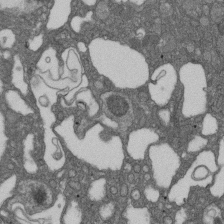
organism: Drosophila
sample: Nephrocyte